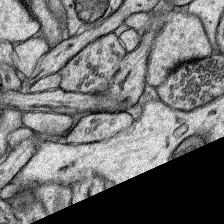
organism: Rat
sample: Hippocampus